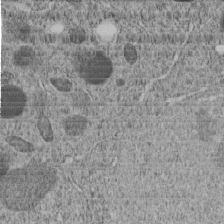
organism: C. elegans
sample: C. elegans embryo early stage